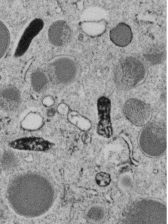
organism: C. elegans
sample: C. elegans embryo early stage